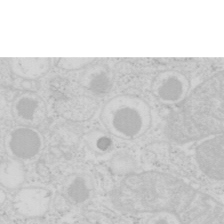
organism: Mouse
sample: Pancreas